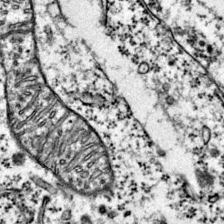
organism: Mouse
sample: Primary visual cortex